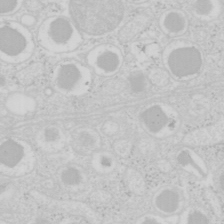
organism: Mouse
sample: Pancreas